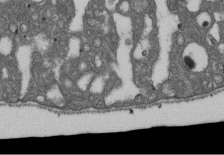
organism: Drosophila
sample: Nephrocyte